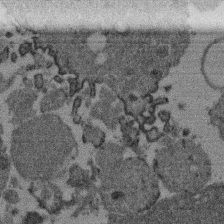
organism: Mouse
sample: Dividing mouse embryo 1 cell stage